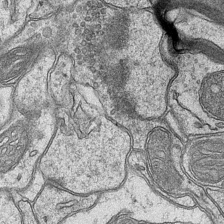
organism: Mouse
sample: CA1 Hippocampus